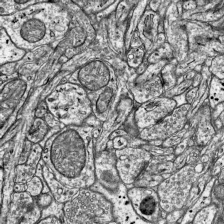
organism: Mouse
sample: Visual Cortex